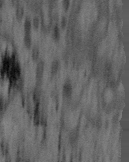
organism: Human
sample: HeLa cells